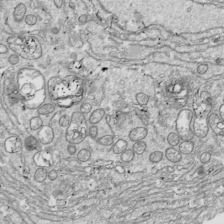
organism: Drosophila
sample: Cell division; meiosis; drosophila spermatocytes